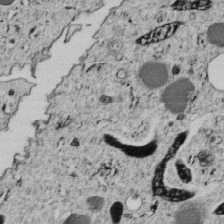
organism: C. elegans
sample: C. elegans embryo early stage